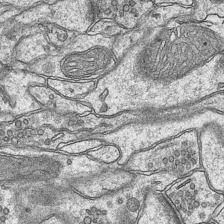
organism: Mouse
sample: CA1 Hippocampus